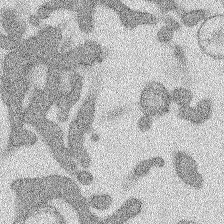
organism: Human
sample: HeLa cells